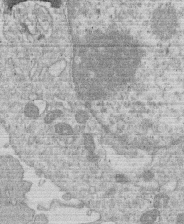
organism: Human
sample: Macrophage cells